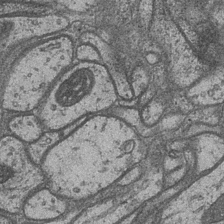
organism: Drosophila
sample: Optic medulla